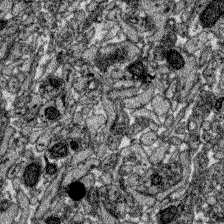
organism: Zebrafish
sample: Larval olfactory bulb